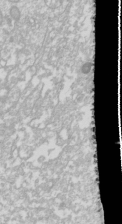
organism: Drosophila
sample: Cell division; meiosis; drosophila spermatocytes